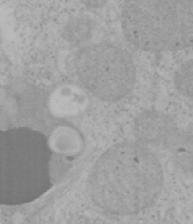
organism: Mouse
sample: OT-I killer T cells with ID8 ovarian cancer cells